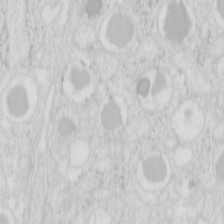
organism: Mouse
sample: Pancreas